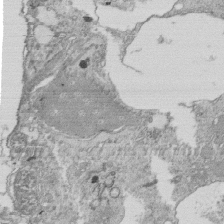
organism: Tetrahymena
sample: Cilia in tetrahymena